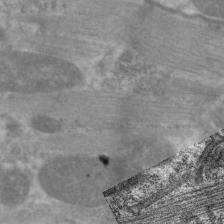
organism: C. elegans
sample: Pharynx